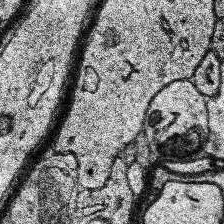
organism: Human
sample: Temporal Lobe